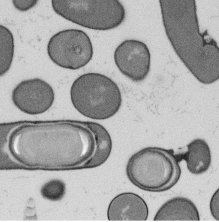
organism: B. subtilis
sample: Bacterial spore